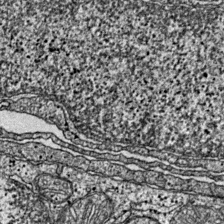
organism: Mouse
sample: Primary visual cortex